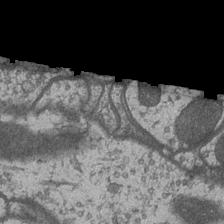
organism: Drosophila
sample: Optic medulla